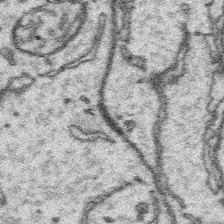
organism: Platynereis dumerilii